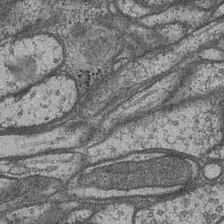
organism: Drosophila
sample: Optic medulla